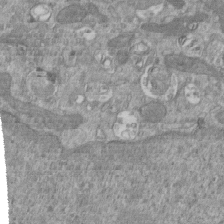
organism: Mouse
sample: ED-1 cell nuclei; centrioles